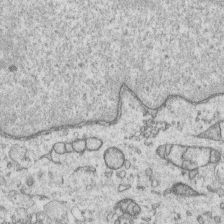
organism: Human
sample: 1205lu cells